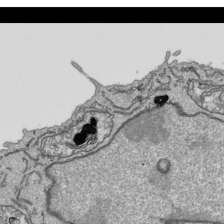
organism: Human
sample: Mitochondria in HCT116 cells